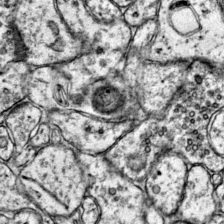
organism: Mouse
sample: Primary visual cortex